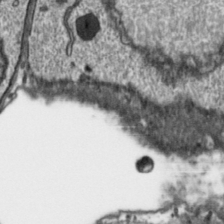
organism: Toxoplasma gondii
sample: Parasites in a vacuole inside a host cell